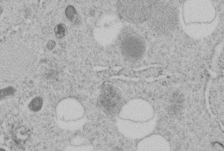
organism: C. elegans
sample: C. elegans embryo early stage